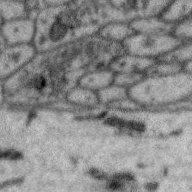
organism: Zebra finch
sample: Brain